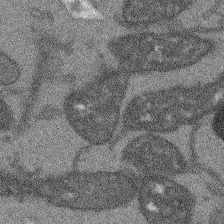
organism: Arabidopsis thaliana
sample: Root tip